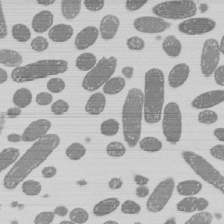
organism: E. coli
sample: Bacterial nucleoid